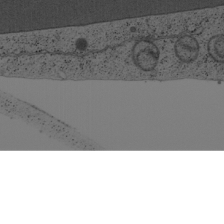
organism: African green monkey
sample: COS-7 cells